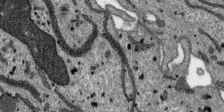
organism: Human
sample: Lung epithelial cells, uninfected (mock) control